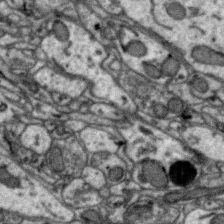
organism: Zebra finch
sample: Brain